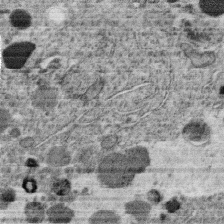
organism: C. elegans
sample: C. elegans oocyte; sperm cells